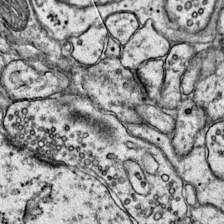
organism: Mouse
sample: Primary visual cortex